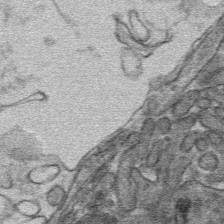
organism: Mouse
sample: Mouse hepatocytes